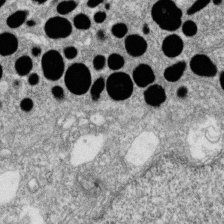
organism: Zebrafish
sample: Cilia; retinal pigment epithelium